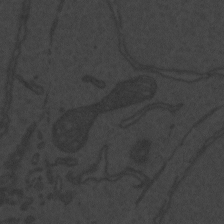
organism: Zebrafish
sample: Macrophage infected with Toxoplasma gondii